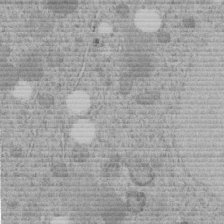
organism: C. elegans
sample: C. elegans embryo early stage